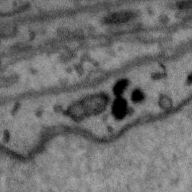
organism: Zebra finch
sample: Brain